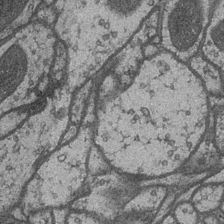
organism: Drosophila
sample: Optic medulla